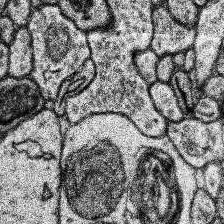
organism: Human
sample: Temporal Lobe